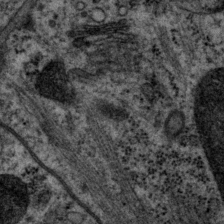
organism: P. pacificus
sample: Pharynx